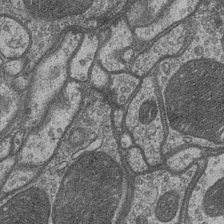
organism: Drosophila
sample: Optic medulla